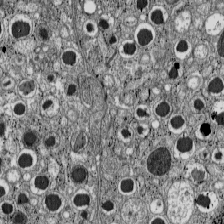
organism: C57BL Mouse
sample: Pancreatic islet